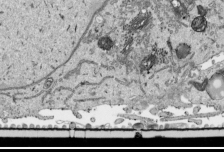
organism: Human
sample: Mitochondria in HCT116 cells